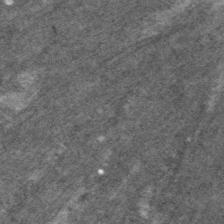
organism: C. elegans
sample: Pharynx